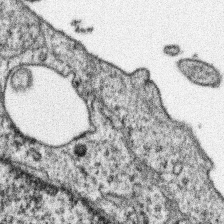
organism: Human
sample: HeLa cells